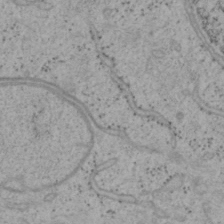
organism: Human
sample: HeLa cells